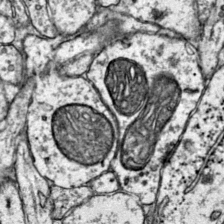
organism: Mouse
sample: Primary visual cortex